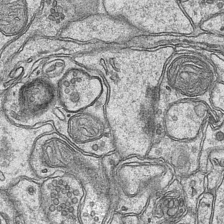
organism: Mouse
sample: CA1 Hippocampus